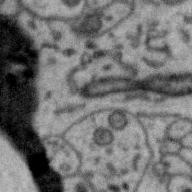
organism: Zebra finch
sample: Brain